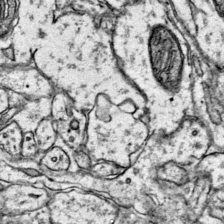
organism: Mouse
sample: Primary visual cortex